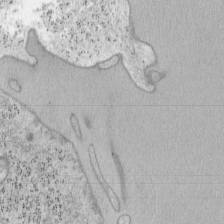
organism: Mouse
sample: OT-I killer T cells with ID8 ovarian cancer cells